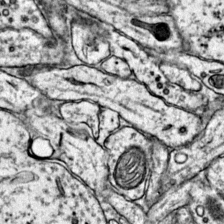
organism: Mouse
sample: Primary visual cortex